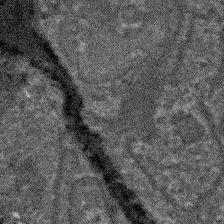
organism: Arabidopsis thaliana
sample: Root tip